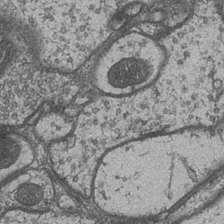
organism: Drosophila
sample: Optic medulla